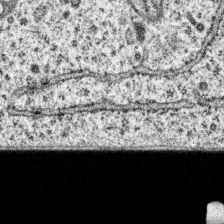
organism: Human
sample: HeLa cells